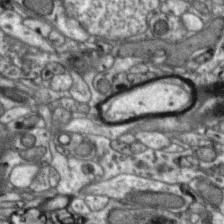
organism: Zebra finch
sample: Brain